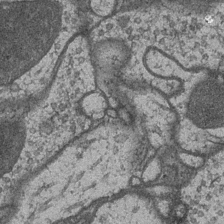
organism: Drosophila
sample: Optic medulla